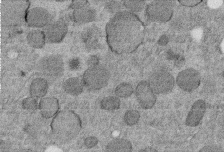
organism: C. elegans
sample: C. elegans embryo early stage